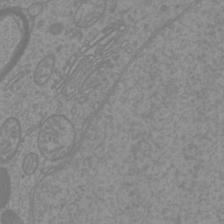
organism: Mouse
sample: Cortical neurons